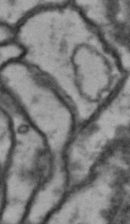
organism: Drosophila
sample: Brain